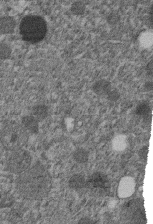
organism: C. elegans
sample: C. elegans embryo early stage